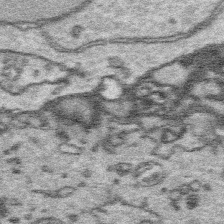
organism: Platynereis dumerilii